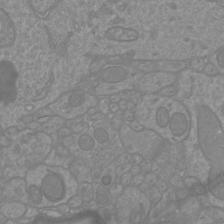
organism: Mouse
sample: Cortical neurons